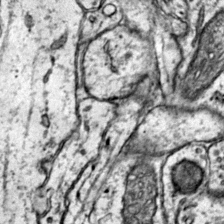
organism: Mouse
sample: Primary visual cortex